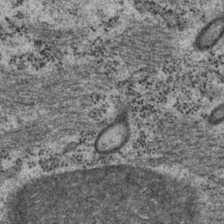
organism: P. pacificus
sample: Pharynx